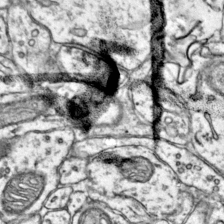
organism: Mouse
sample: Primary visual cortex